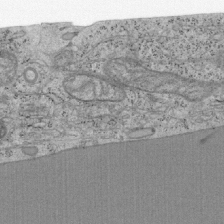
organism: Human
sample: HeLa cells